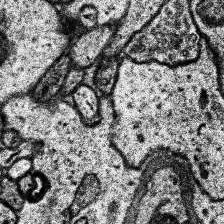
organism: Human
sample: Temporal Lobe